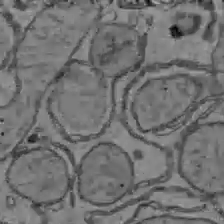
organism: C57BL Mouse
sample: Liver